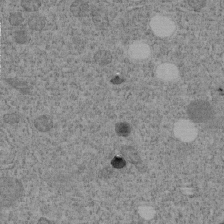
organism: C. elegans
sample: C. elegans embryo early stage